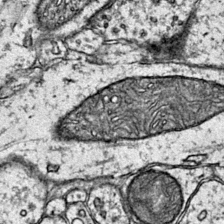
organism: Mouse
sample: Primary visual cortex